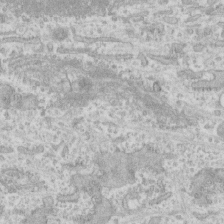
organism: Human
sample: CRL-1474